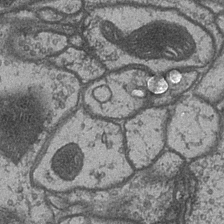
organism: Drosophila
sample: Optic medulla